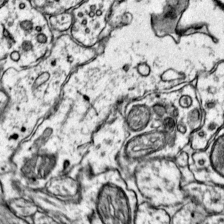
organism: Mouse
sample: Primary visual cortex